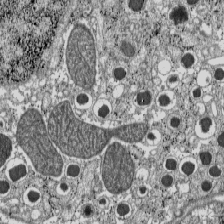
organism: C57BL Mouse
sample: Pancreatic islet